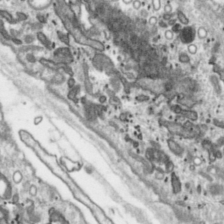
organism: Toxoplasma gondii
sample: Parasites in a vacuole inside a host cell